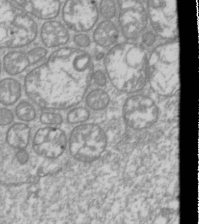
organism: Drosophila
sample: Cell division; meiosis; drosophila spermatocytes